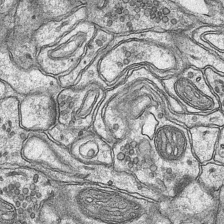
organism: Mouse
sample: CA1 Hippocampus